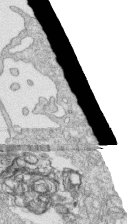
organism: Human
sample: HeLa cell HIV synapse